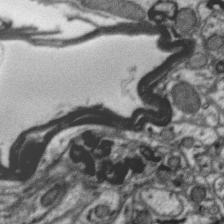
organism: Zebra finch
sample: Brain